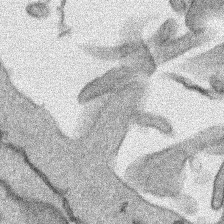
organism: Human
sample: Mitochondria in HCT116 cells